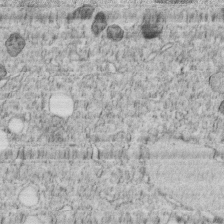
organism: C. elegans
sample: C. elegans embryo early stage